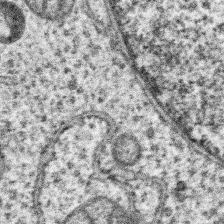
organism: Human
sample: HeLa cells